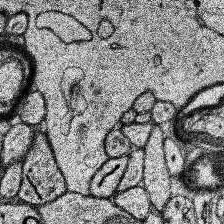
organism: Human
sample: Temporal Lobe